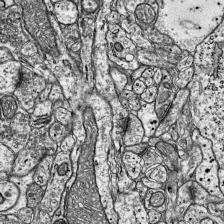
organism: Mouse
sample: Visual Cortex